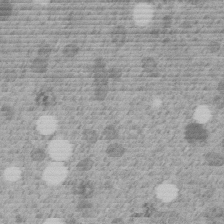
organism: C. elegans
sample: C. elegans embryo early stage